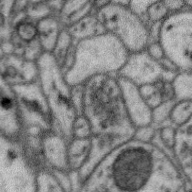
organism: Zebra finch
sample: Brain